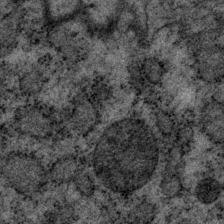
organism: P. pacificus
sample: Pharynx